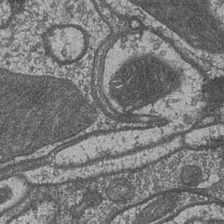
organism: Drosophila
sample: Optic medulla